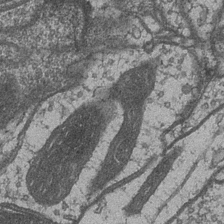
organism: Drosophila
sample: Optic medulla